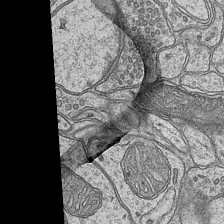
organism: Mouse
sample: CA1 Hippocampus